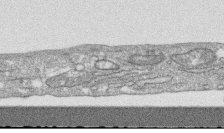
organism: Human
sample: CRL-1474